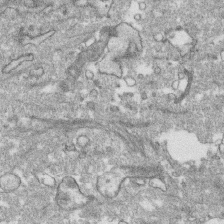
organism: Human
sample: CRL-1474